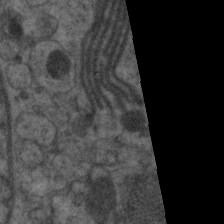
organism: C. elegans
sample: Pharynx